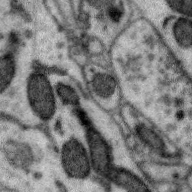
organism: Zebra finch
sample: Brain